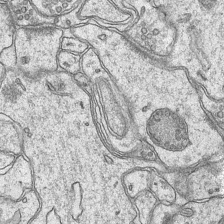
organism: Mouse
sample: CA1 Hippocampus